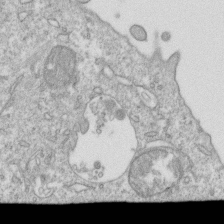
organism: Mouse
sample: Activated OT-1 CD8+ T cells